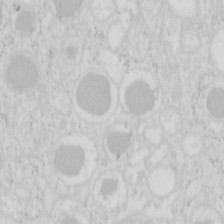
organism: Mouse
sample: Pancreas